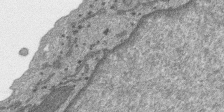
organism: Human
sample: Lung epithelial cells infected with SARS-CoV-2